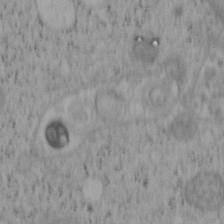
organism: Mouse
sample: OT-I killer T cells with ID8 ovarian cancer cells